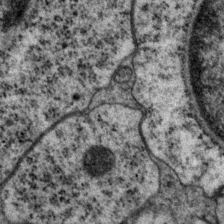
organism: P. pacificus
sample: Pharynx